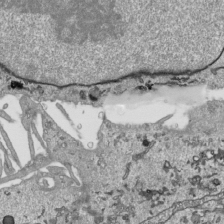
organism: Human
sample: Mitochondria in HCT116 cells